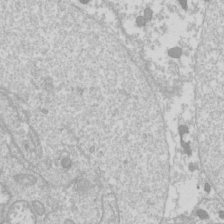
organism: Drosophila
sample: Cell division; meiosis; drosophila spermatocytes